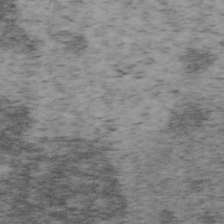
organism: Mouse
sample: OT-I killer T cells with ID8 ovarian cancer cells